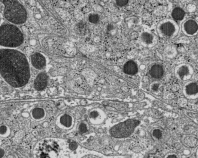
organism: C57BL Mouse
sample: Pancreatic islet